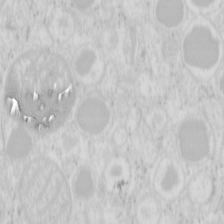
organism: Mouse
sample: Pancreas